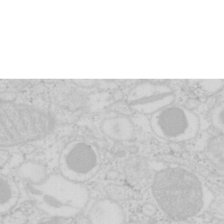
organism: Mouse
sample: Pancreas